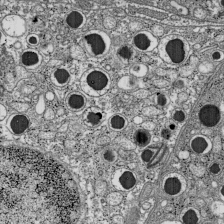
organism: C57BL Mouse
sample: Pancreatic islet